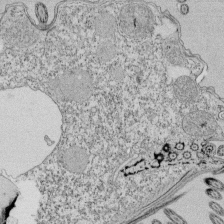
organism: Tetrahymena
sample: Cilia in tetrahymena